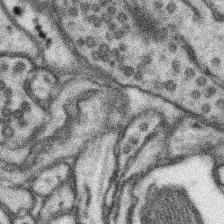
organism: Mouse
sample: Somatosensory cortex neuropil